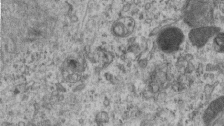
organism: Mouse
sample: Centriole in ependymal cells